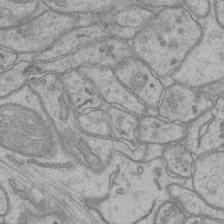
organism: Mouse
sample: CA1 Hippocampus